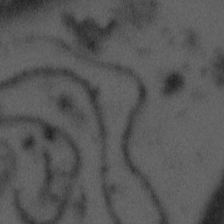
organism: Tuwongella immobilis